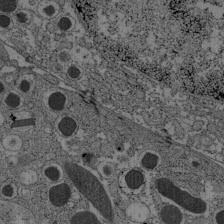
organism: C57BL Mouse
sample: Pancreatic islet